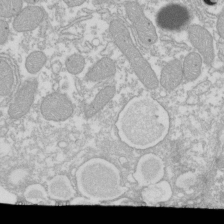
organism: Xenopus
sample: Cilia; centrioles in frog embryo cells